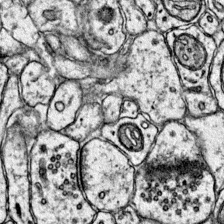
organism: Mouse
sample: Primary visual cortex